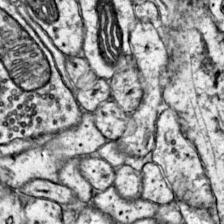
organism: Mouse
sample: Primary visual cortex